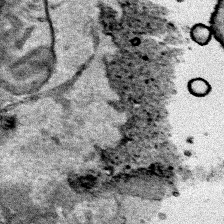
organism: Human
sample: Mitochondria in HCT116 cells